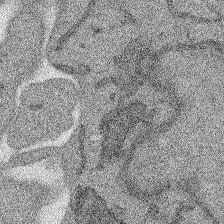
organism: Human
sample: HeLa cells